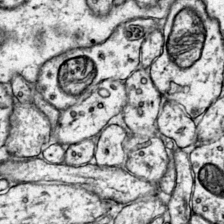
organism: Mouse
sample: Primary visual cortex